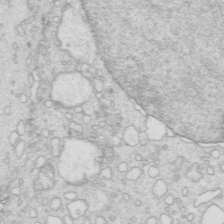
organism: Mouse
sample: Multiciliated cells